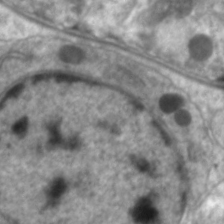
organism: C. elegans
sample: Pharynx